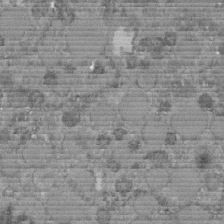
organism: C. elegans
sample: C. elegans embryo early stage